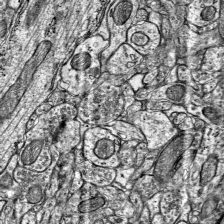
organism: Mouse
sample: Visual Cortex